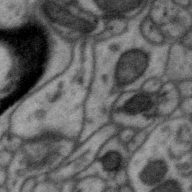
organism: Zebra finch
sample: Brain